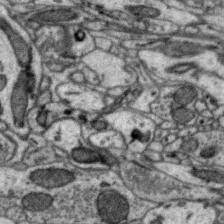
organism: Zebra finch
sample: Brain